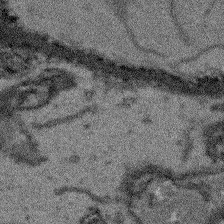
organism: Arabidopsis thaliana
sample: Root tip